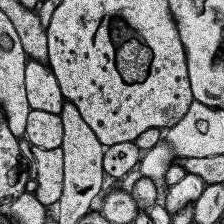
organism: Human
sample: Temporal Lobe